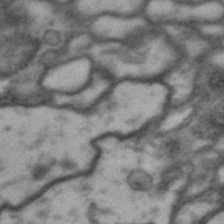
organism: Drosophila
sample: Brain